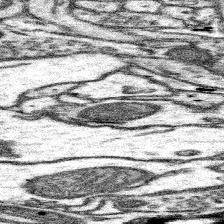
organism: Mouse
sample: Somatosensory cortex neuropil